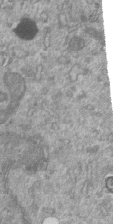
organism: Mouse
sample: ED-1 cell nuclei; centrioles